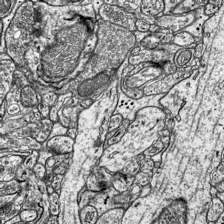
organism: Mouse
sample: Visual Cortex